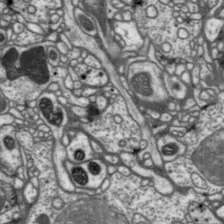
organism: Drosophila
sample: Protocerebral bridge